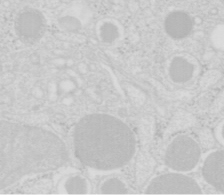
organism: Mouse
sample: Pancreas